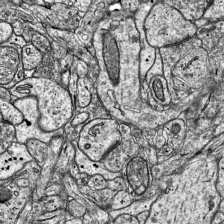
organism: Mouse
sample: Visual Cortex